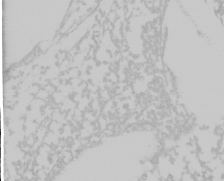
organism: Mouse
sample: Cancer cell death in ED-1 cells